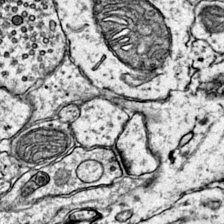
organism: Mouse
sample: Primary visual cortex